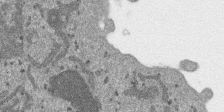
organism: Human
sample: Lung epithelial cells infected with SARS-CoV-2